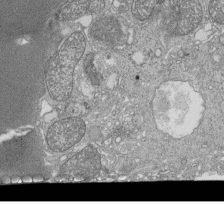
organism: Tetrahymena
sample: Cilia in tetrahymena